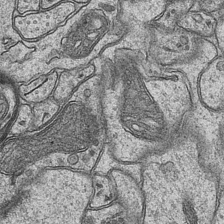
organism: Mouse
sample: CA1 Hippocampus